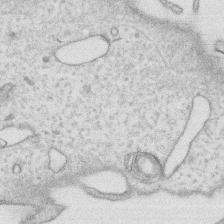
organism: Human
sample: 1205lu cells